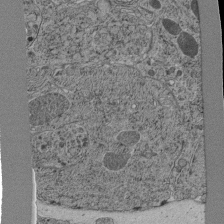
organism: C. elegans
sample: C. elegans pharynx